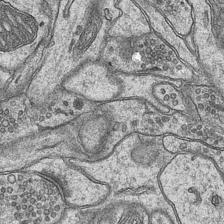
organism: Mouse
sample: CA1 Hippocampus